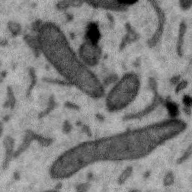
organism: Zebra finch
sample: Brain